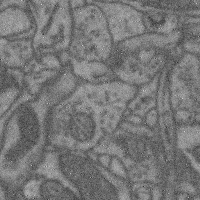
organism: Mouse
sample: Cerebral cortex